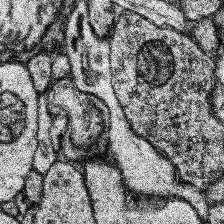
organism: Human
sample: Temporal Lobe